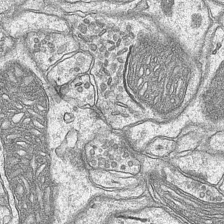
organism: Mouse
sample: CA1 Hippocampus